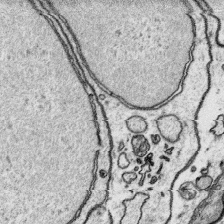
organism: Platynereis dumerilii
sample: Parapodia